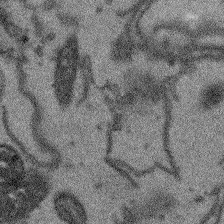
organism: Arabidopsis thaliana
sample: Root tip